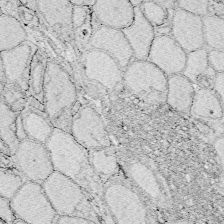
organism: Zebrafish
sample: Whole-Brain